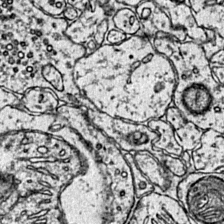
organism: Mouse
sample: Primary visual cortex